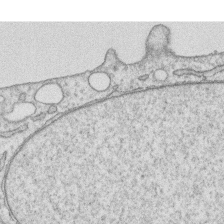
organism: Human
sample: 1205lu cells